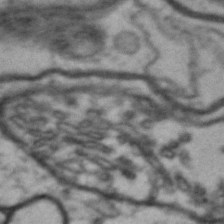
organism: Drosophila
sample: Brain